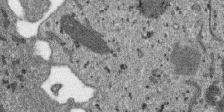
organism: Human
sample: Lung epithelial cells infected with SARS-CoV-2